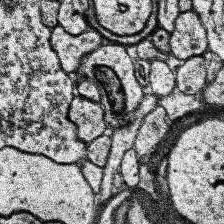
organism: Human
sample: Temporal Lobe